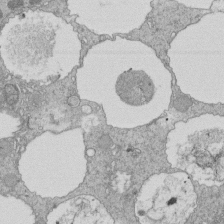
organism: Tetrahymena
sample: Cilia in tetrahymena